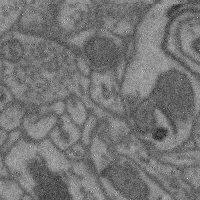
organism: Mouse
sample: Cerebral cortex